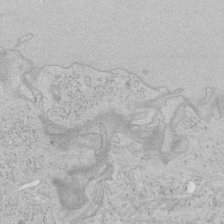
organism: Human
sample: Mitochondria in HCT116 cells